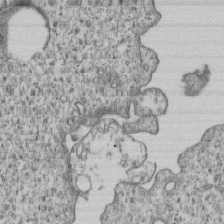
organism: Human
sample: MDA-MB-231 cells